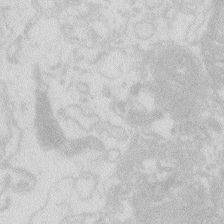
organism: Zebrafish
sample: Macrophage